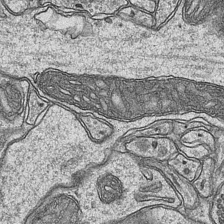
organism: Mouse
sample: CA1 Hippocampus